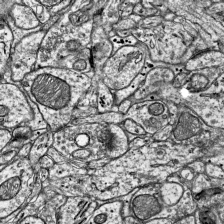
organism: Mouse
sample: Visual Cortex